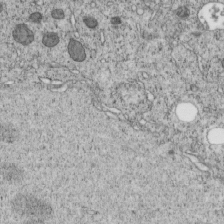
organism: C. elegans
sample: C. elegans embryo early stage